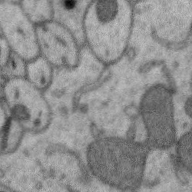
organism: Zebra finch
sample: Brain